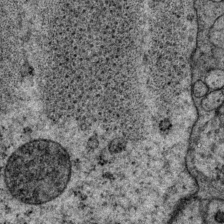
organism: P. pacificus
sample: Pharynx